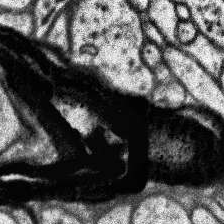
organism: Human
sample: Temporal Lobe